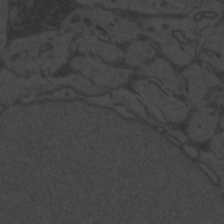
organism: Zebrafish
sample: Macrophage infected with Toxoplasma gondii